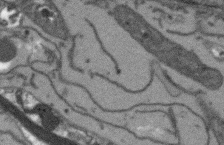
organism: Arabidopsis thaliana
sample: Root tip